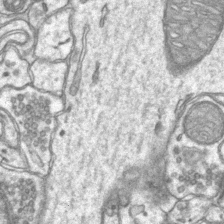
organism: Mouse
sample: CA1 Hippocampus